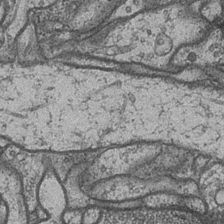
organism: Drosophila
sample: Optic medulla